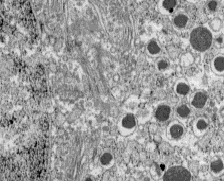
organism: C57BL Mouse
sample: Pancreatic islet